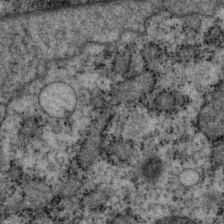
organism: P. pacificus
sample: Pharynx